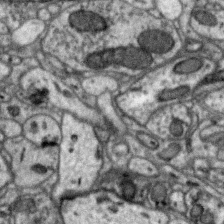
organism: Zebra finch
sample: Brain